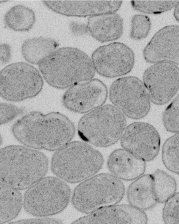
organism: E. coli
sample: Bacterial nucleoid